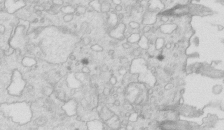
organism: Mouse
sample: Multiciliated cells